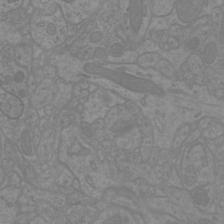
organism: Mouse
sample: Cortical neurons